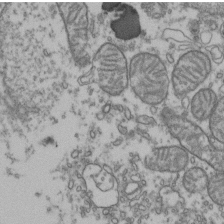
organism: Human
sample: Activated Jurkat CD4+ T cells